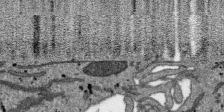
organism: Human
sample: Lung epithelial cells, uninfected (mock) control